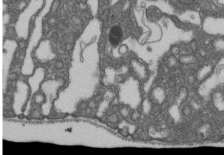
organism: Drosophila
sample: Nephrocyte